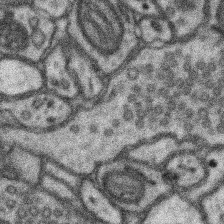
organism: Mouse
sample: Somatosensory cortex neuropil